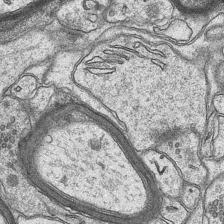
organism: Mouse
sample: CA1 Hippocampus